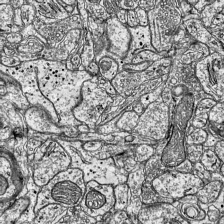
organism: Mouse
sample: Visual Cortex